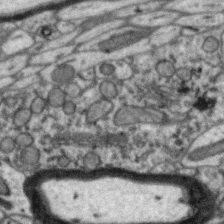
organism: Zebra finch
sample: Brain